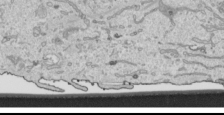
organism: Human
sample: Mitochondria in HCT116 cells